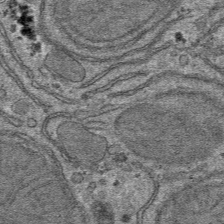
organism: Mouse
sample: Mouse hepatocytes